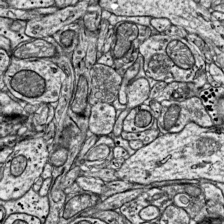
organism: Mouse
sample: Visual Cortex